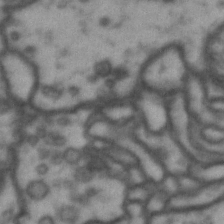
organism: Drosophila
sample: Brain